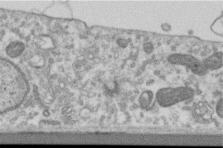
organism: Human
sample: Centriole in RPE cells